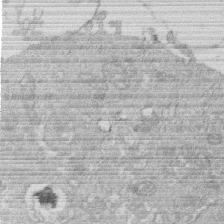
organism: Human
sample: Macrophage cells